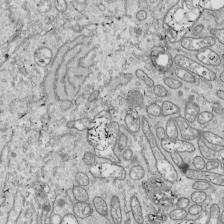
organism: Drosophila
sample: Cell division; meiosis; drosophila spermatocytes